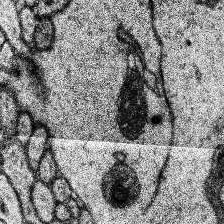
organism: Human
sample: Temporal Lobe